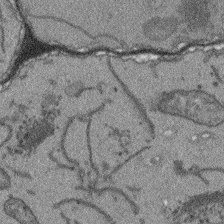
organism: Arabidopsis thaliana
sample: Root tip